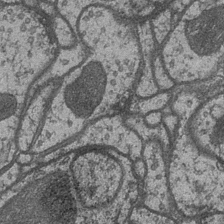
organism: Drosophila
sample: Optic medulla